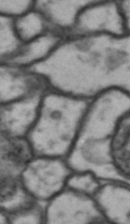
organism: Drosophila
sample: Brain